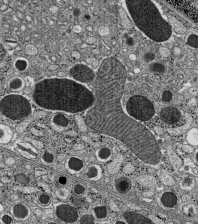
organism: C57BL Mouse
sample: Pancreatic islet